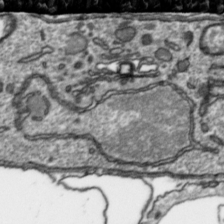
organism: Toxoplasma gondii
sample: Parasites in a vacuole inside a host cell